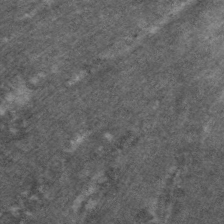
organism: C. elegans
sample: Pharynx